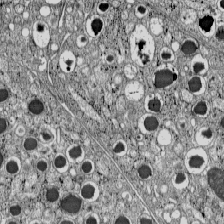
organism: C57BL Mouse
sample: Pancreatic islet